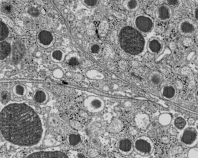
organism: C57BL Mouse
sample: Pancreatic islet